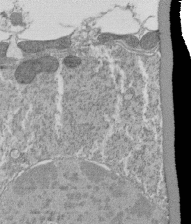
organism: Tetrahymena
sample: Cilia in tetrahymena